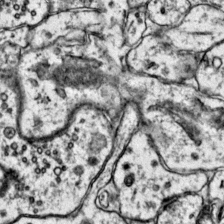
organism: Mouse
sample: Primary visual cortex